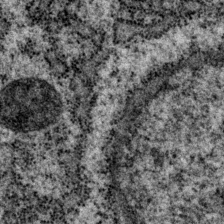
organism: P. pacificus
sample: Pharynx